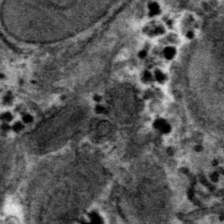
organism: Mouse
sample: Mouse hepatocytes